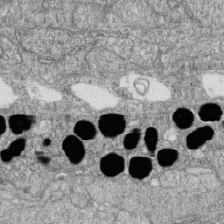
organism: Zebrafish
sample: Cilia; retinal pigment epithelium